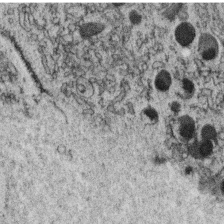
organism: C. elegans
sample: C. elegans oocyte; sperm cells